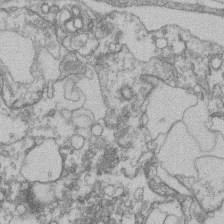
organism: Mouse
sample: T cell stromal cell synapse